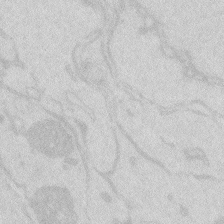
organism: Zebrafish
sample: Macrophage